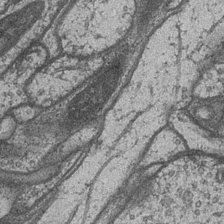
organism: Drosophila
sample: Optic medulla